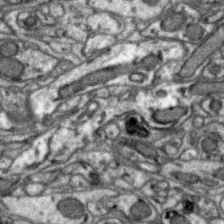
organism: Zebra finch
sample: Brain